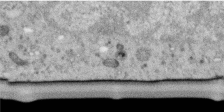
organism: Human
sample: Centriole in RPE cells